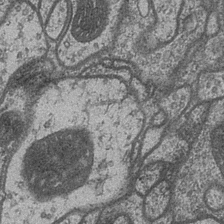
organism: Drosophila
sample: Optic medulla